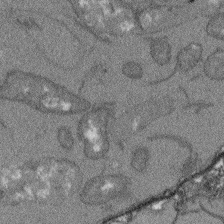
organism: Arabidopsis thaliana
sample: Root tip